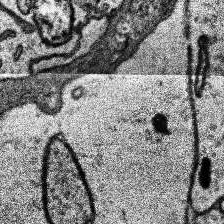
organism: Human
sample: Temporal Lobe